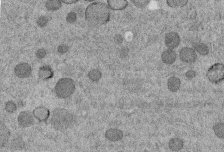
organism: C. elegans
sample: C. elegans embryo early stage